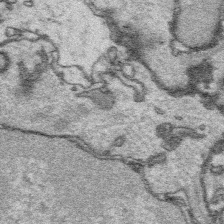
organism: Platynereis dumerilii